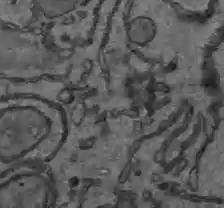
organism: C57BL Mouse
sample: Liver